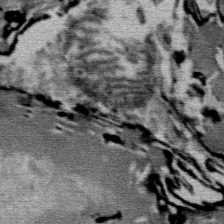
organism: Mouse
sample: Mouse Salivary gland